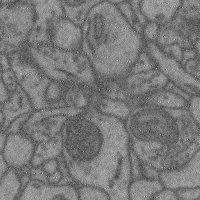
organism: Mouse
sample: Cerebral cortex